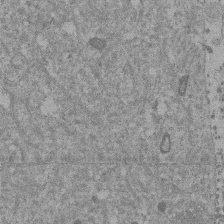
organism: Mouse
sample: Dividing mouse embryo 1 cell stage